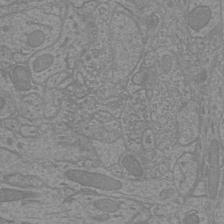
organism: Mouse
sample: Cortical neurons